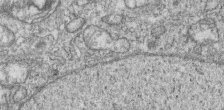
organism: Human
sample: HeLa cell HIV synapse